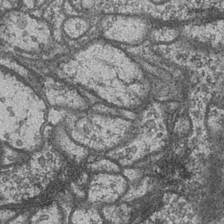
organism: Drosophila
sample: Optic medulla